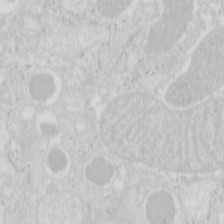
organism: Mouse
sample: Pancreas